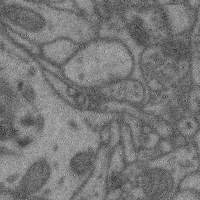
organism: Mouse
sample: Cerebral cortex